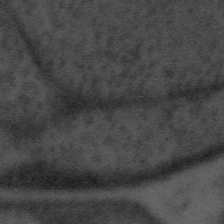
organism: Tuwongella immobilis